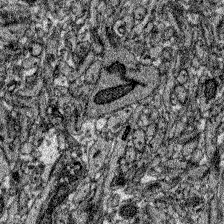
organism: Zebrafish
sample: Larval olfactory bulb